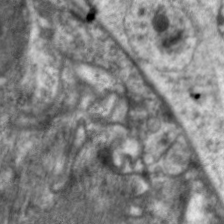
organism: C. elegans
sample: Pharynx